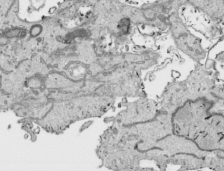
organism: Human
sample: Mitochondria in HCT116 cells